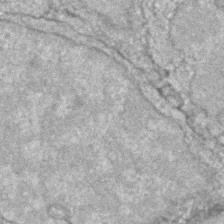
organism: Zebrafish